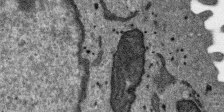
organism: Human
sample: Lung epithelial cells, uninfected (mock) control